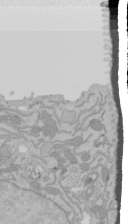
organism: Mouse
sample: Cancer cell death in ED-1 cells